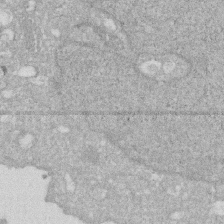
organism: Human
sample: HIV infected U937 cells